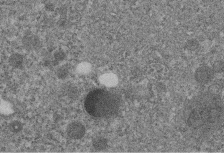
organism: C. elegans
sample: C. elegans embryo early stage